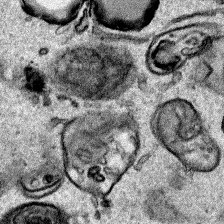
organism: Human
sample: Mitochondria in HCT116 cells